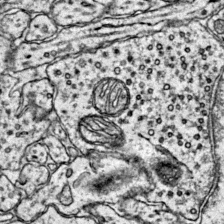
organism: Mouse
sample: Primary visual cortex